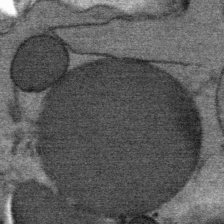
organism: Mouse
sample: Mouse Salivary gland